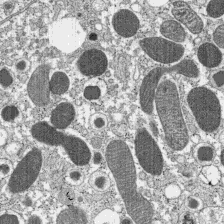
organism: C57BL Mouse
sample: Pancreatic islet